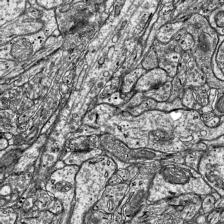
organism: Mouse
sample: Visual Cortex